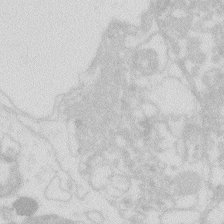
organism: Zebrafish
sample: Macrophage